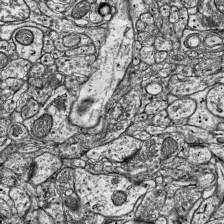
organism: Mouse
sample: Visual Cortex